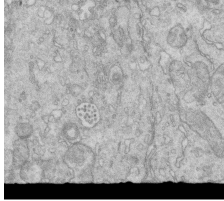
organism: Mouse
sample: Multiciliated cells